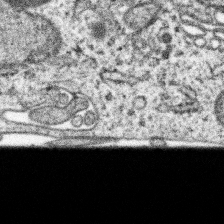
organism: Human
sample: HeLa cells